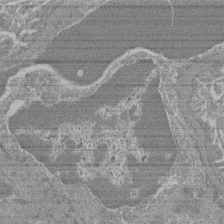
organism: Mouse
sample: Glomerulus